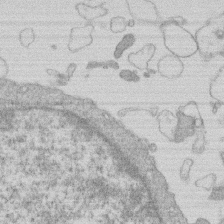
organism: Human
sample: Macrophage cells